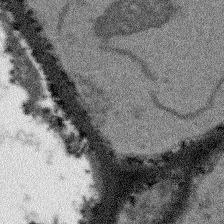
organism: Arabidopsis thaliana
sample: Root tip